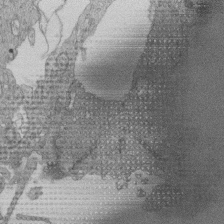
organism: Human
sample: Retinal organoid Rod and Cone cells